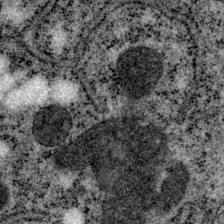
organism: P. pacificus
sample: Pharynx